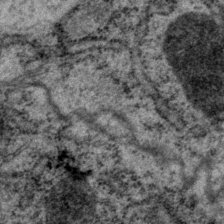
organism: P. pacificus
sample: Pharynx